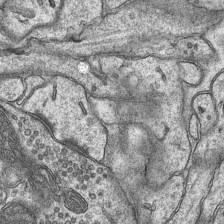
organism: Mouse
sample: CA1 Hippocampus